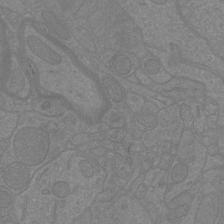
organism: Mouse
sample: Cortical neurons